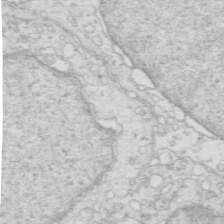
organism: Mouse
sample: Multiciliated cells